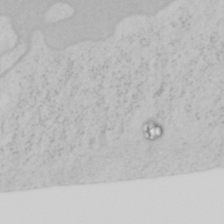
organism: Mouse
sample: OT-I killer T cells with ID8 ovarian cancer cells